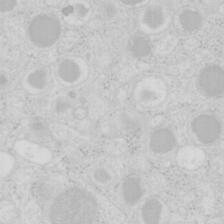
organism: Mouse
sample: Pancreas